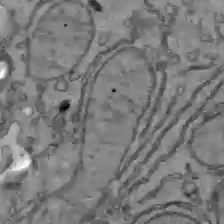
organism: C57BL Mouse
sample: Liver